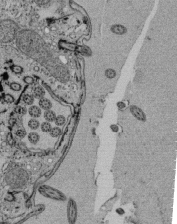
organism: Tetrahymena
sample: Cilia in tetrahymena